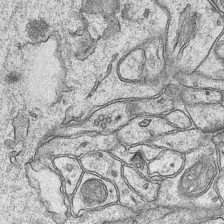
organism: Mouse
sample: CA1 Hippocampus